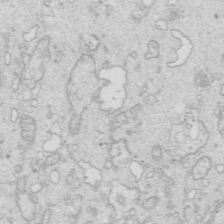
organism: Mouse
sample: Multiciliated cells